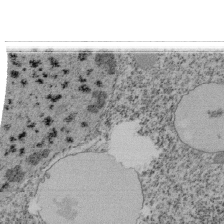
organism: Tetrahymena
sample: Cilia in tetrahymena